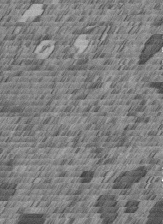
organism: C. elegans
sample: C. elegans embryo early stage